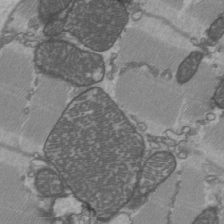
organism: C57BL Mouse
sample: Heart